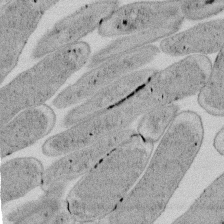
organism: E. coli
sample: Bacterial nucleoid